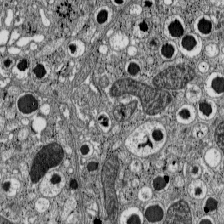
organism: C57BL Mouse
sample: Pancreatic islet